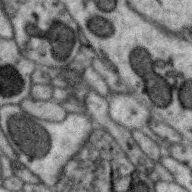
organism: Zebra finch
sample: Brain